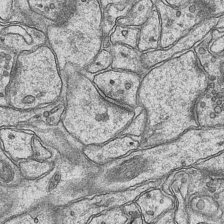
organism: Mouse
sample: CA1 Hippocampus